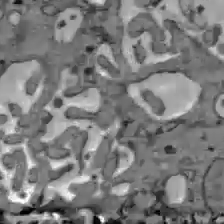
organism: C57BL Mouse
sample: Liver